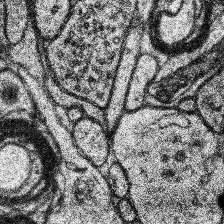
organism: Human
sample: Temporal Lobe